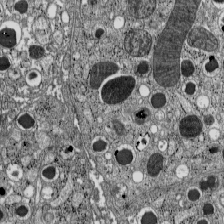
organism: C57BL Mouse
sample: Pancreatic islet